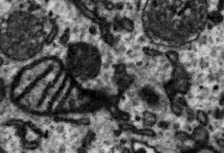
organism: Human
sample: HeLa cells